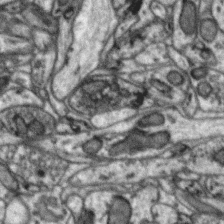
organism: Zebra finch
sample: Brain